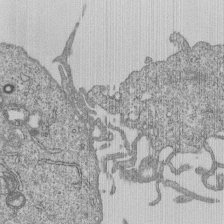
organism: Human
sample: MDA-MB-231 cells